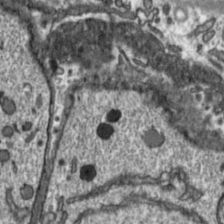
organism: Toxoplasma gondii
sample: Parasites in a vacuole inside a host cell